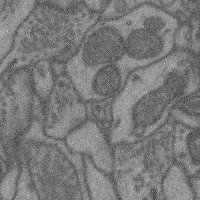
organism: Mouse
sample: Cerebral cortex